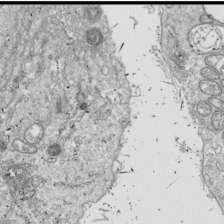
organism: Drosophila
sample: Cell division; meiosis; drosophila spermatocytes